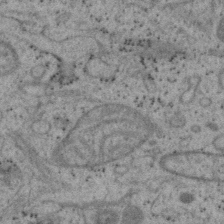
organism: Human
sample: HeLa cells